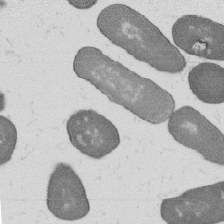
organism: B. subtilis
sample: Bacterial spore